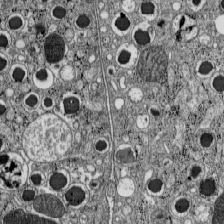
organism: C57BL Mouse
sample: Pancreatic islet